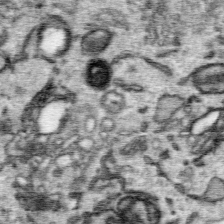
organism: Human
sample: HeLa cells